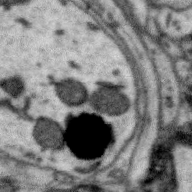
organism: Zebra finch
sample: Brain